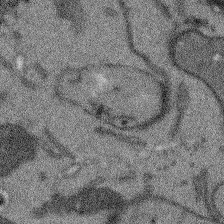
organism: Arabidopsis thaliana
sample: Root tip